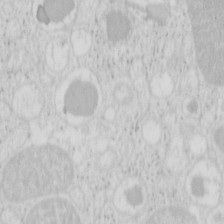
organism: Mouse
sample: Pancreas